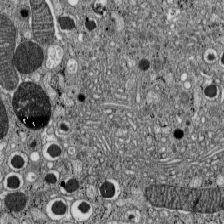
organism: C57BL Mouse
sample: Pancreatic islet